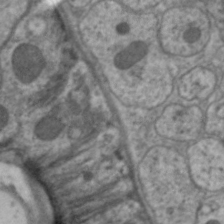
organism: C. elegans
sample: Pharynx